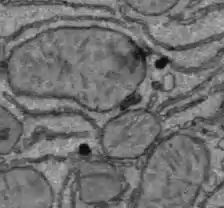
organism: C57BL Mouse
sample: Liver